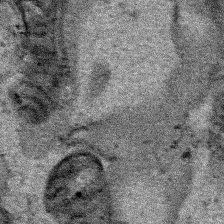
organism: Human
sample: Mitochondria in HCT116 cells